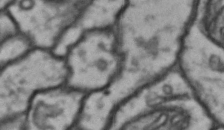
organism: Drosophila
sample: Brain